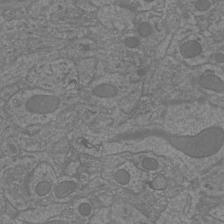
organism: Mouse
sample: Cortical neurons